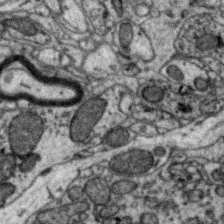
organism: Zebra finch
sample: Brain